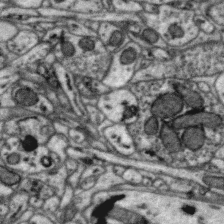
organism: Zebra finch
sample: Brain